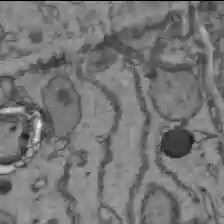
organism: C57BL Mouse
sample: Liver